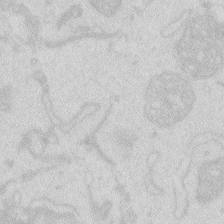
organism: Zebrafish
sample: Macrophage